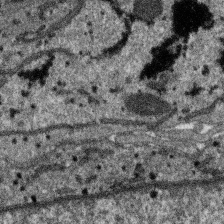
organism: Human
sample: Lung epithelial cells infected with SARS-CoV-2